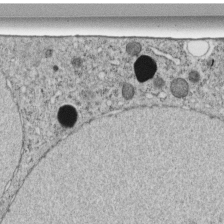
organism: C. elegans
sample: C. elegans embryo early stage